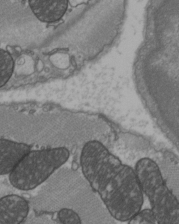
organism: C57BL Mouse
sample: Heart